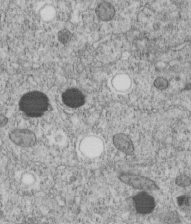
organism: C. elegans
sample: C. elegans embryo early stage